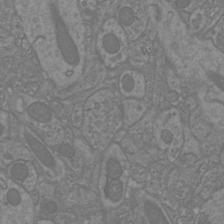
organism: Mouse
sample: Cortical neurons